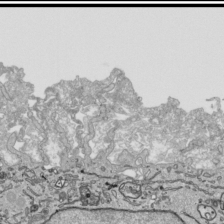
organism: Human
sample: Mitochondria in HCT116 cells